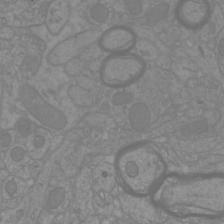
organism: Mouse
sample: Cortical neurons